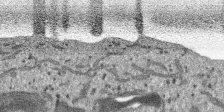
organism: Human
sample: Lung epithelial cells infected with SARS-CoV-2